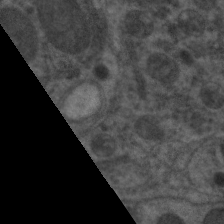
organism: C. elegans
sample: Pharynx